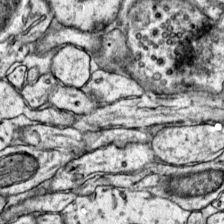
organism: Mouse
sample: Primary visual cortex